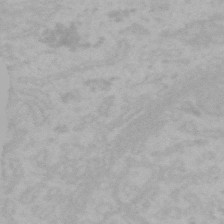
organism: Mouse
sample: Choroid plexus